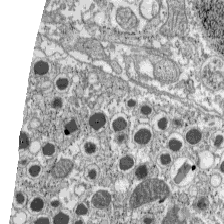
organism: C57BL Mouse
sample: Pancreatic islet